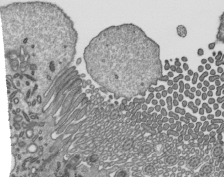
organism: Mouse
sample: Mouse epididymis efferent ductule cilia